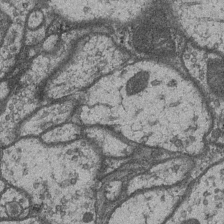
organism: Drosophila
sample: Optic medulla